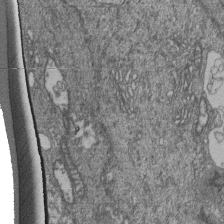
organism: Human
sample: Retinal organoid Rod and Cone cells